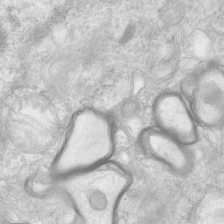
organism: Human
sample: Neocortex